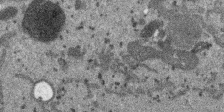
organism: Human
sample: Lung epithelial cells infected with SARS-CoV-2